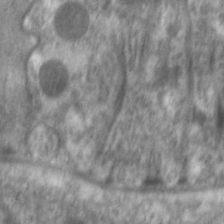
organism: C. elegans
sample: Pharynx